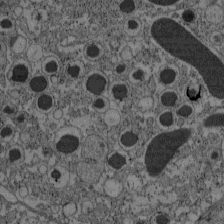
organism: C57BL Mouse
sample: Pancreatic islet